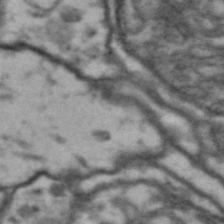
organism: Drosophila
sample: Brain